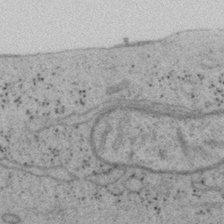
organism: Human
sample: HeLa cells